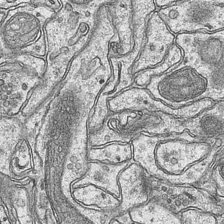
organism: Mouse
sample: CA1 Hippocampus